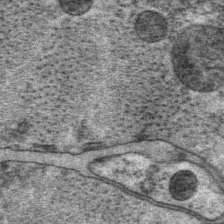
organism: P. pacificus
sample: Pharynx